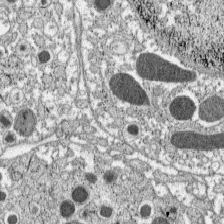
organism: C57BL Mouse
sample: Pancreatic islet